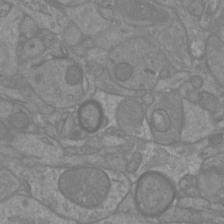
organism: Mouse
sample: Cortical neurons